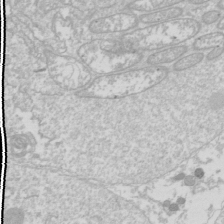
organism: Drosophila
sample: Cell division; meiosis; drosophila spermatocytes